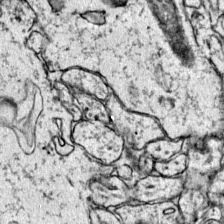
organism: Mouse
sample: Primary visual cortex